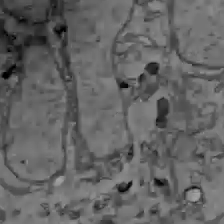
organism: C57BL Mouse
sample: Liver